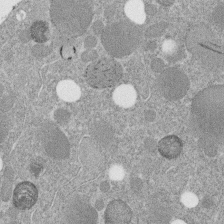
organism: C. elegans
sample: C. elegans embryo early stage